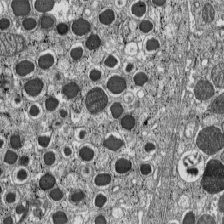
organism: C57BL Mouse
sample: Pancreatic islet